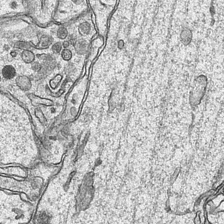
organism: Mouse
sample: CA1 Hippocampus